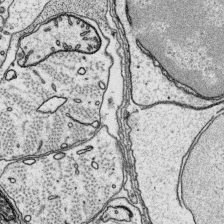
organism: Platynereis dumerilii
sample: Parapodia